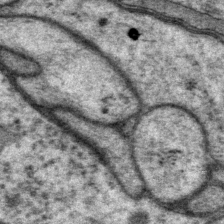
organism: P. pacificus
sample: Pharynx